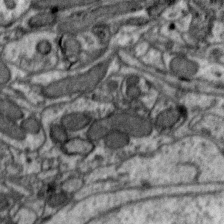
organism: Zebra finch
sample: Brain